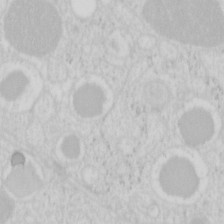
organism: Mouse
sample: Pancreas